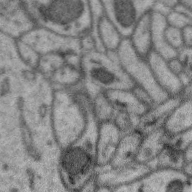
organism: Zebra finch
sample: Brain